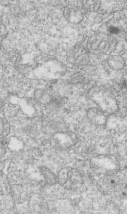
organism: Human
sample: HeLa cell HIV synapse